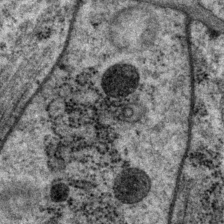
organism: P. pacificus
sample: Pharynx